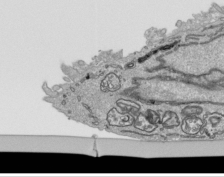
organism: Human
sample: Mitochondria in HCT116 cells